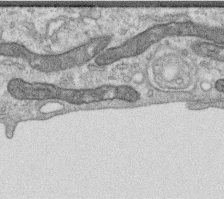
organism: Human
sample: Centriole in RPE cells